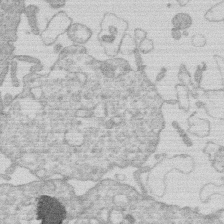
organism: Human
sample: Macrophage cells